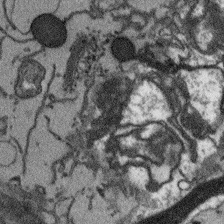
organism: Arabidopsis thaliana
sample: Root tip